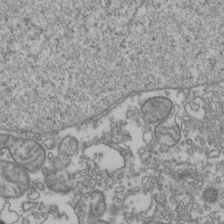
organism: Human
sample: Activated Jurkat CD4+ T cells